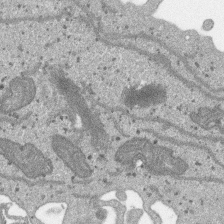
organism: Human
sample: Lung epithelial cells infected with SARS-CoV-2